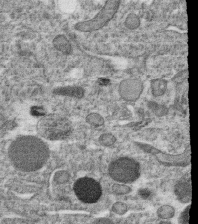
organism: C. elegans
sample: C. elegans oocyte; sperm cells